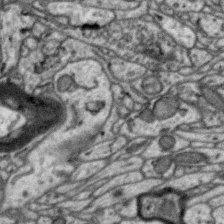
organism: Zebra finch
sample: Brain